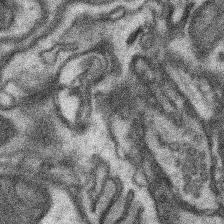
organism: Mouse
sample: Somatosensory cortex neuropil